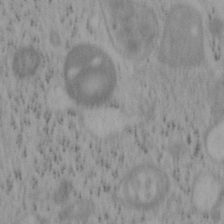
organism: Mouse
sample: OT-I killer T cells with ID8 ovarian cancer cells